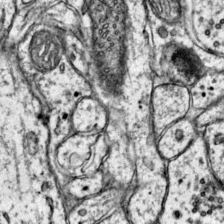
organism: Mouse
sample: Primary visual cortex